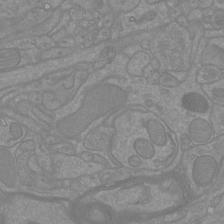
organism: Mouse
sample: Cortical neurons